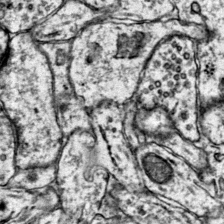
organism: Mouse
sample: Primary visual cortex